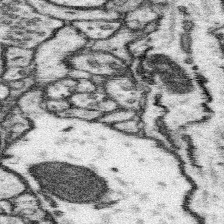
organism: Mouse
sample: Somatosensory cortex neuropil